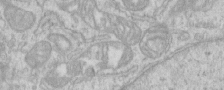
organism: Human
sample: Centriole in RPE cells